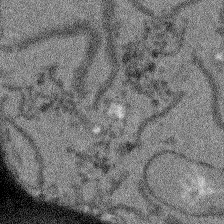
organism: Arabidopsis thaliana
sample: Root tip